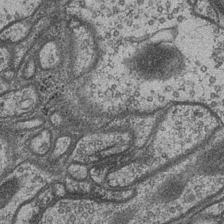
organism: Drosophila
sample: Optic medulla